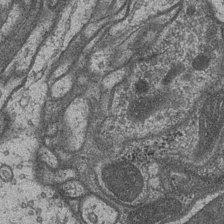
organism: Drosophila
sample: Optic medulla